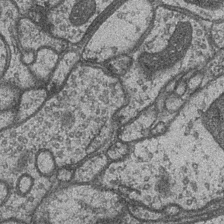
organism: Drosophila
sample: Optic medulla